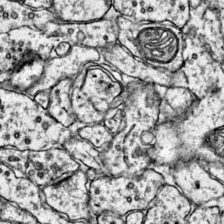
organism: Mouse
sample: Primary visual cortex